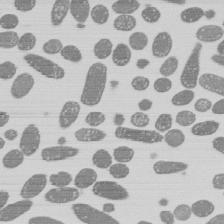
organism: E. coli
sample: Bacterial nucleoid